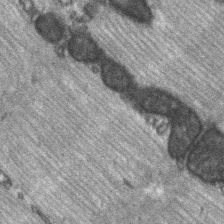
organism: C57BL Mouse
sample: Soleus